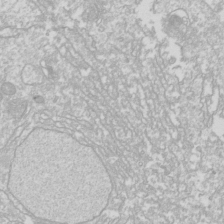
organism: Drosophila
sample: Cell division; meiosis; drosophila spermatocytes